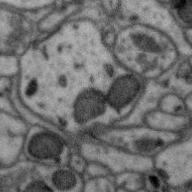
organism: Zebra finch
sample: Brain